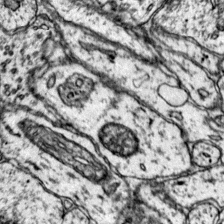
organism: Mouse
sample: Primary visual cortex